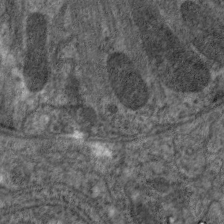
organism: C. elegans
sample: Pharynx